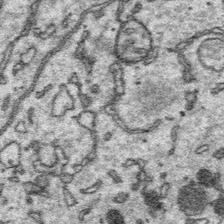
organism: Platynereis dumerilii